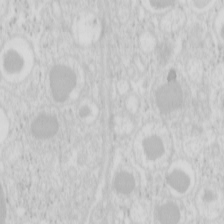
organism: Mouse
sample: Pancreas